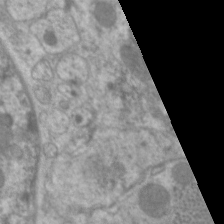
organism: C. elegans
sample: Pharynx